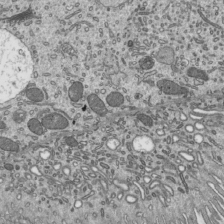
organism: Mouse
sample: Mouse epididymis efferent ductule cilia